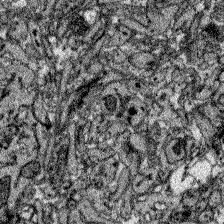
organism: Zebrafish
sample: Larval olfactory bulb